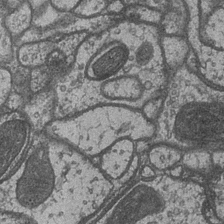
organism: Drosophila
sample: Optic medulla